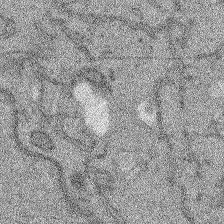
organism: Human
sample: HeLa cells